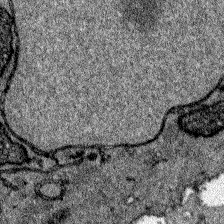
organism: Zebrafish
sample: Larval olfactory bulb